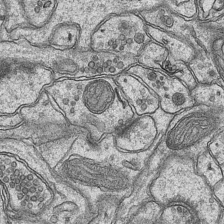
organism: Mouse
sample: CA1 Hippocampus